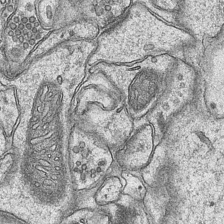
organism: Mouse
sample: CA1 Hippocampus